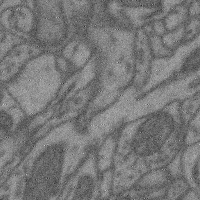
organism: Mouse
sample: Cerebral cortex